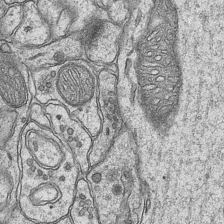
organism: Mouse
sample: CA1 Hippocampus